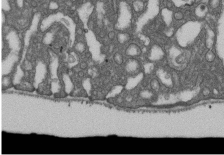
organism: Drosophila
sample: Nephrocyte